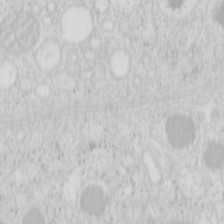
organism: Mouse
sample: Pancreas